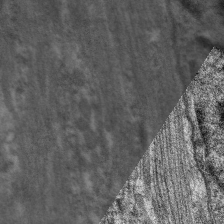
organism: C. elegans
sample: Pharynx